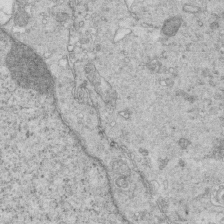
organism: Mouse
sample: Multiciliated cells